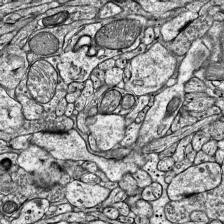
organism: Mouse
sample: Visual Cortex